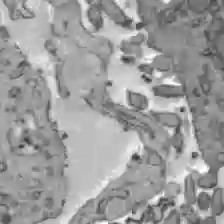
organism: C57BL Mouse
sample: Liver